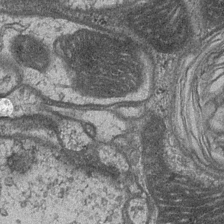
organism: Drosophila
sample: Optic medulla